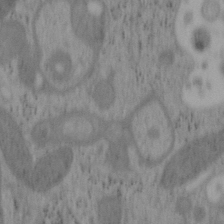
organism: Mouse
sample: OT-I killer T cells with ID8 ovarian cancer cells